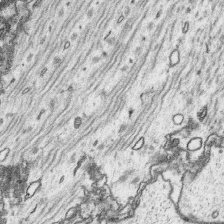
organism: Platynereis dumerilii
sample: Parapodia